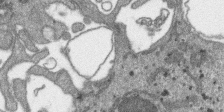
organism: Human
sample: Lung epithelial cells infected with SARS-CoV-2